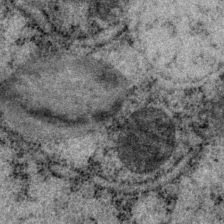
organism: P. pacificus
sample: Pharynx